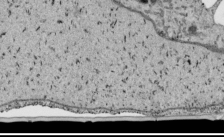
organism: Human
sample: Mitochondria in HCT116 cells